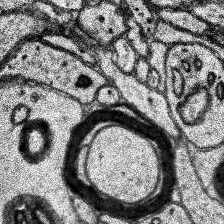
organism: Human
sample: Temporal Lobe